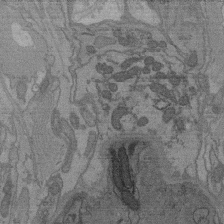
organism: C. elegans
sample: AFD neurons C. elegans